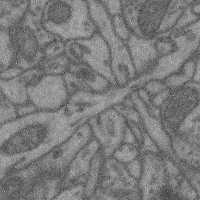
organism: Mouse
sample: Cerebral cortex